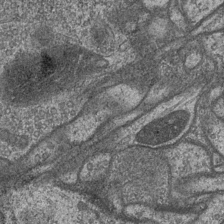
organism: Drosophila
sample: Optic medulla